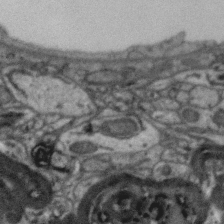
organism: Zebra finch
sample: Brain